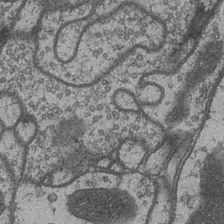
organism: Drosophila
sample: Optic medulla